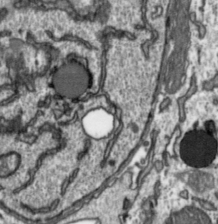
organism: Toxoplasma gondii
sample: Parasites in a vacuole inside a host cell